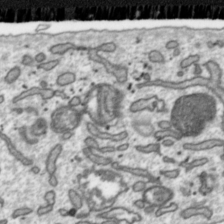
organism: Toxoplasma gondii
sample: Parasites in a vacuole inside a host cell